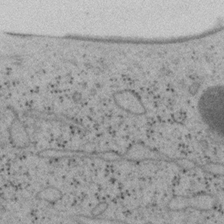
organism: Human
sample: HeLa cells